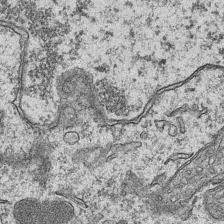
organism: Mouse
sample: CA1 Hippocampus